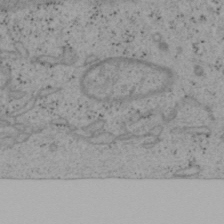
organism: Human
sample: HeLa cells